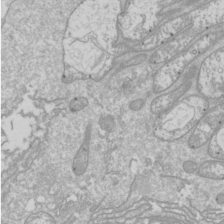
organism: Drosophila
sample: Cell division; meiosis; drosophila spermatocytes